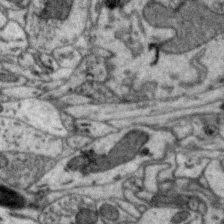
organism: Zebra finch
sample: Brain